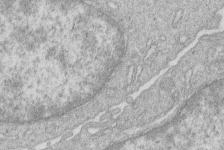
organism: Human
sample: Macrophage cells